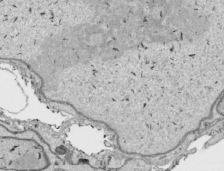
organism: Human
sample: Mitochondria in HCT116 cells